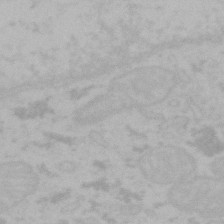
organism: Mouse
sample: Choroid plexus